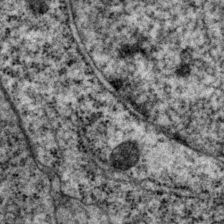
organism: P. pacificus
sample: Pharynx